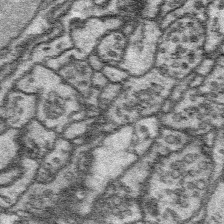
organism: Platynereis dumerilii